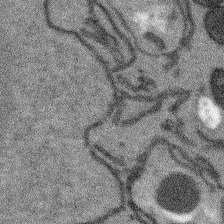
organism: Arabidopsis thaliana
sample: Root tip